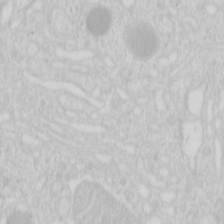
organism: Mouse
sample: Pancreas